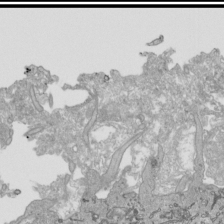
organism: Human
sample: Mitochondria in HCT116 cells